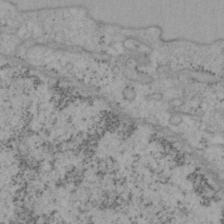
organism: Human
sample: HeLa cells